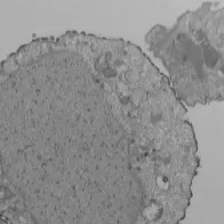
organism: Human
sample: Jurkat E6-1 and CD4 cells